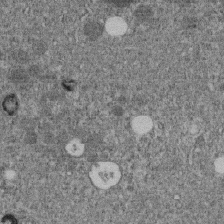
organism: C. elegans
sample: C. elegans embryo early stage